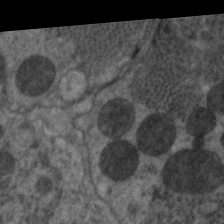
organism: C. elegans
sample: Pharynx